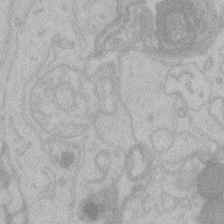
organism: Zebrafish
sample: Macrophage infected with Toxoplasma gondii